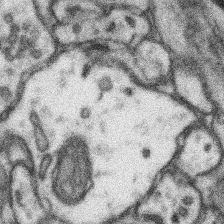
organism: Mouse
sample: Somatosensory cortex neuropil